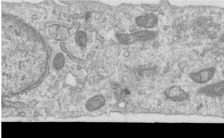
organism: Human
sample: Centriole in RPE cells